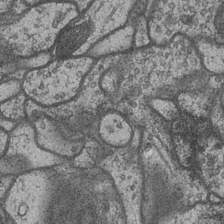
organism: Drosophila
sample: Optic medulla